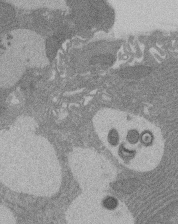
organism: Rat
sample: Salivary granule